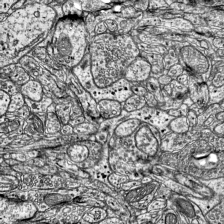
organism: Mouse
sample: Visual Cortex